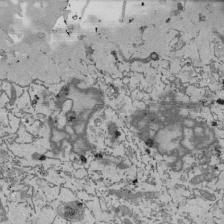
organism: Mouse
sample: ED-1 cell nuclei; centrioles